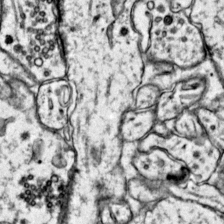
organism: Mouse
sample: Primary visual cortex